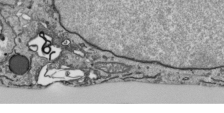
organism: Human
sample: Mitochondria in HCT116 cells